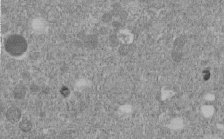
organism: C. elegans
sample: C. elegans embryo early stage